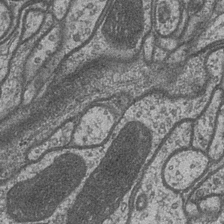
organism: Drosophila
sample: Optic medulla